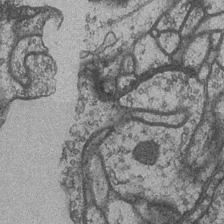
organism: Drosophila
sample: Optic medulla